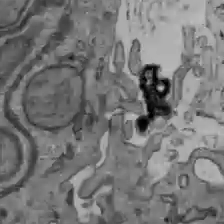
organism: C57BL Mouse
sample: Liver